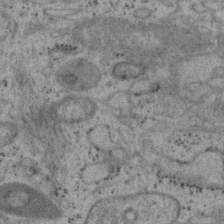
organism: Human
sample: HeLa cells